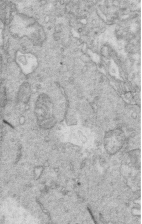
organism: Mouse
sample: Multiciliated cells